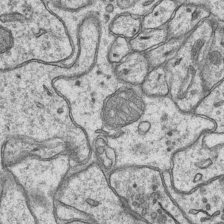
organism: Mouse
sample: CA1 Hippocampus